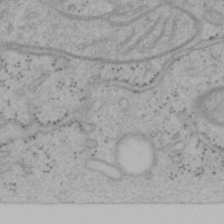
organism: Human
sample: HeLa cells